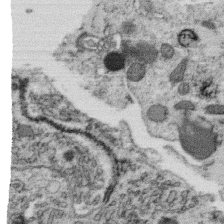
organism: C. elegans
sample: C. elegans oocyte; sperm cells